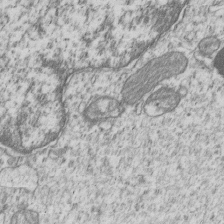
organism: Human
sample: MDA-MB-231 cells